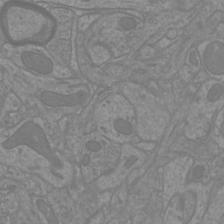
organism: Mouse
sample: Cortical neurons